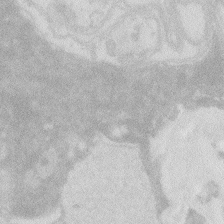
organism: Zebrafish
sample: Macrophage